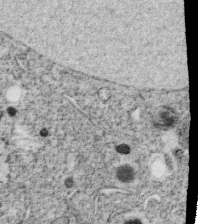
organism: C. elegans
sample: C. elegans oocyte; sperm cells